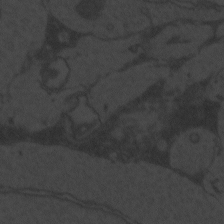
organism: Zebrafish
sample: Macrophage infected with Toxoplasma gondii